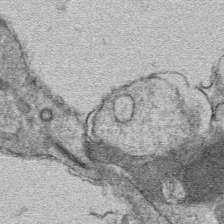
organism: Mouse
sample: Mouse hepatocytes